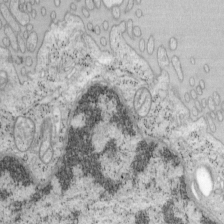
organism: Mouse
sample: OT-I killer T cells with ID8 ovarian cancer cells